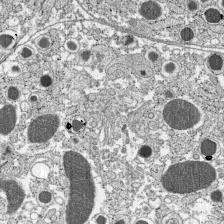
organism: C57BL Mouse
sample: Pancreatic islet